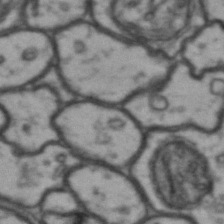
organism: Drosophila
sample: Brain